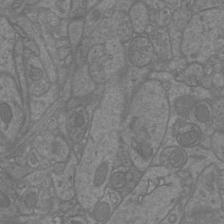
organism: Mouse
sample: Cortical neurons